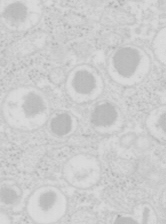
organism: Mouse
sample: Pancreas